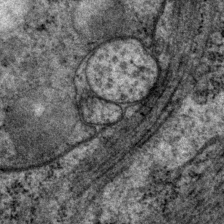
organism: P. pacificus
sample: Pharynx